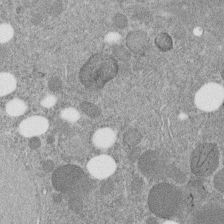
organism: C. elegans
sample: C. elegans embryo early stage